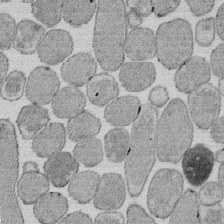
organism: E. coli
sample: Bacterial nucleoid